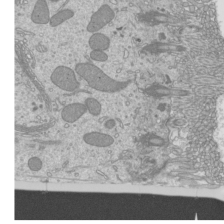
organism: Mouse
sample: Cilia; mouse epididymis